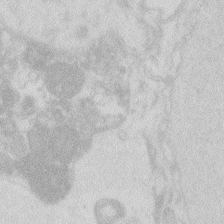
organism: Zebrafish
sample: Macrophage